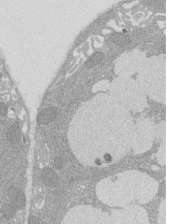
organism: Rat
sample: Salivary granule